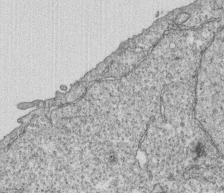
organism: Human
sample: HeLa cell HIV synapse